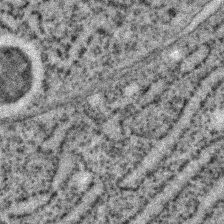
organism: C. elegans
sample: C. elegans embryo